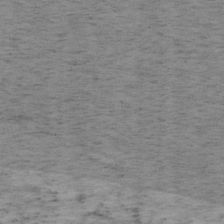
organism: Mouse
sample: OT-I killer T cells with ID8 ovarian cancer cells